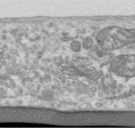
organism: Human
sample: Centriole in RPE cells